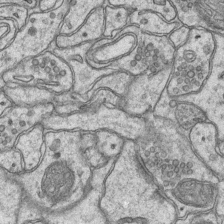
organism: Mouse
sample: CA1 Hippocampus